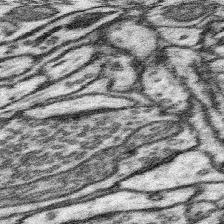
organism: Mouse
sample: Somatosensory cortex neuropil